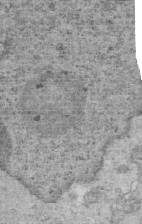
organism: Mouse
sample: Multiciliated cells